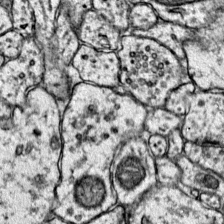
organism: Mouse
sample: Primary visual cortex